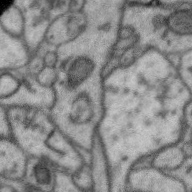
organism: Zebra finch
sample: Brain